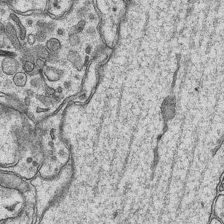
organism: Mouse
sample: CA1 Hippocampus